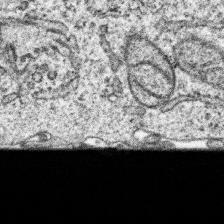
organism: Human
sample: HeLa cells